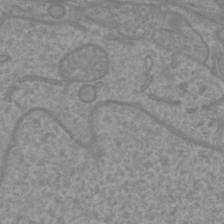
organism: Mouse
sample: Cortical neurons